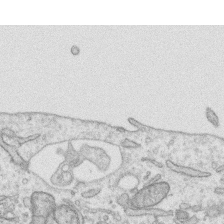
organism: Human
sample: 1205lu cells